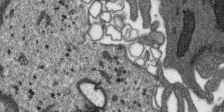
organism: Human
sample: Lung epithelial cells infected with SARS-CoV-2